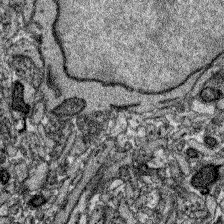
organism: Zebrafish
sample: Larval olfactory bulb